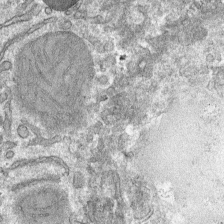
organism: Mouse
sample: Mouse hepatocytes